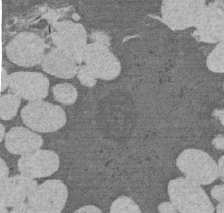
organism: Rat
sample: Salivary granule